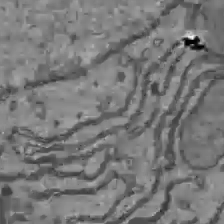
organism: C57BL Mouse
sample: Liver